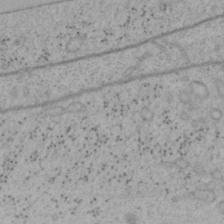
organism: Human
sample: HeLa cells